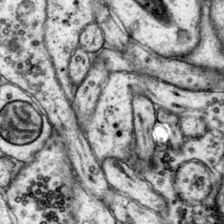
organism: Mouse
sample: Primary visual cortex